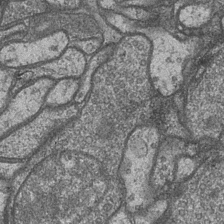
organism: Drosophila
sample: Optic medulla